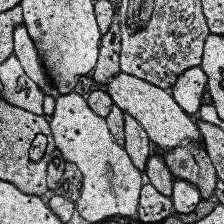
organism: Human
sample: Temporal Lobe